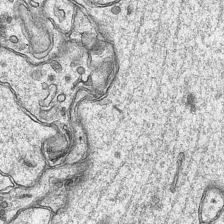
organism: Mouse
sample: CA1 Hippocampus